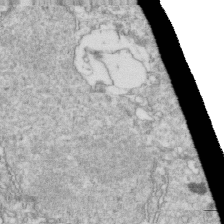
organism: Mouse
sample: Activated OT-1 CD8+ T cells